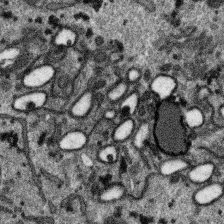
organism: Human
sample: Lung epithelial cells infected with SARS-CoV-2